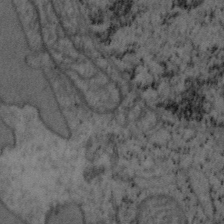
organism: Human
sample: HeLa cells